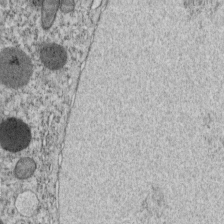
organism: C. elegans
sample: C. elegans embryo early stage